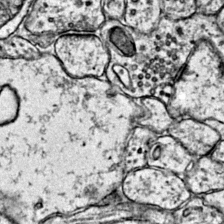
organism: Mouse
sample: Primary visual cortex